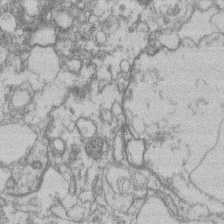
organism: Mouse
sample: T cell stromal cell synapse